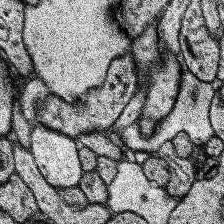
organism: Human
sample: Temporal Lobe